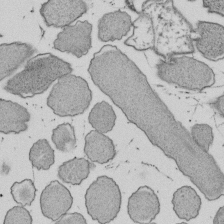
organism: E. coli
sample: Bacterial nucleoid